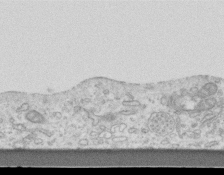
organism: Mouse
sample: Centriole in ependymal cells